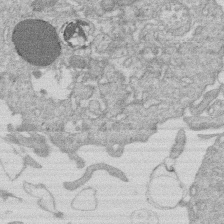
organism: Human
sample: Macrophage cells